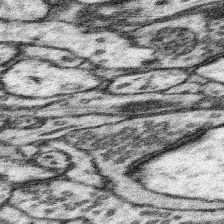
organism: Mouse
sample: Somatosensory cortex neuropil